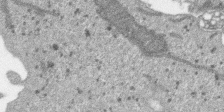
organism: Human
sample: Lung epithelial cells infected with SARS-CoV-2